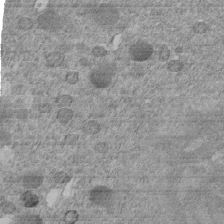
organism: C. elegans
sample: C. elegans embryo early stage